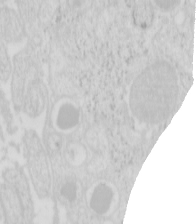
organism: Mouse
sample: Pancreas